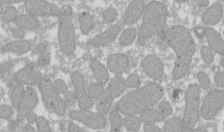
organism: Xenopus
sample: Cilia; centrioles in frog embryo cells